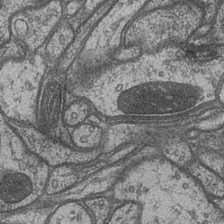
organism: Drosophila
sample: Optic medulla